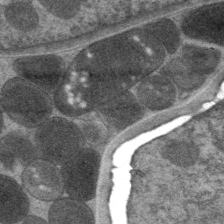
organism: C. elegans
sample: Pharynx